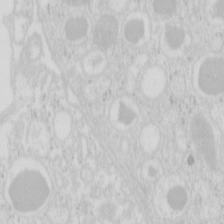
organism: Mouse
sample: Pancreas